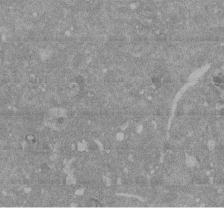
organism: Mouse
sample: ED-1 cell nuclei; centrioles